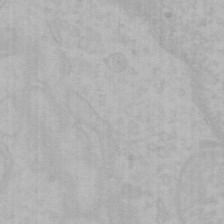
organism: Mouse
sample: Choroid plexus